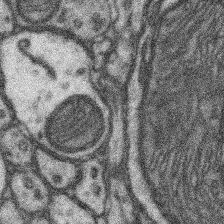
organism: Mouse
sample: Somatosensory cortex neuropil